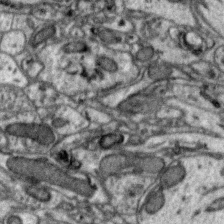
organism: Zebra finch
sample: Brain